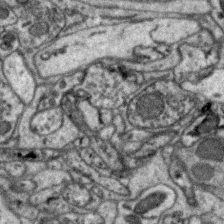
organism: Zebra finch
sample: Brain